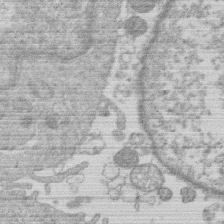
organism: Human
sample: Macrophage cells